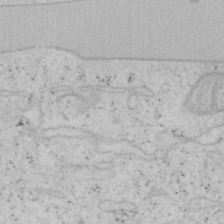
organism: Human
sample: HeLa cells